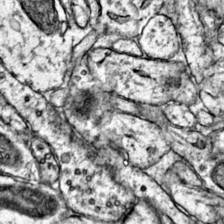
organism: Mouse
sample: Primary visual cortex